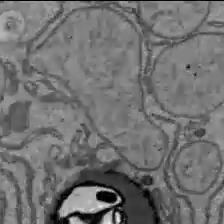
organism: C57BL Mouse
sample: Liver